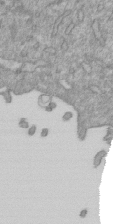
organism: Mouse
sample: ED-1 cell nuclei; centrioles